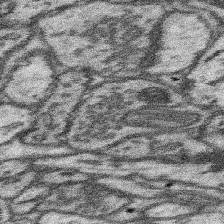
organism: Mouse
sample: Somatosensory cortex neuropil